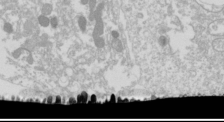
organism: Drosophila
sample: Cell division; meiosis; drosophila spermatocytes